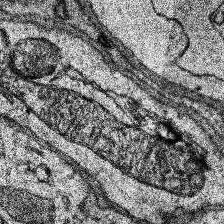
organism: Human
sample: Temporal Lobe